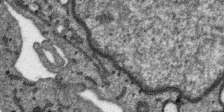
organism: Human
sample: Lung epithelial cells infected with SARS-CoV-2